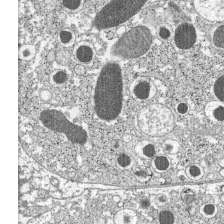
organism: C57BL Mouse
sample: Pancreatic islet